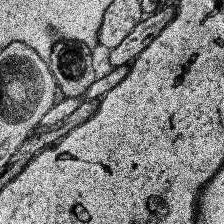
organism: Human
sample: Temporal Lobe